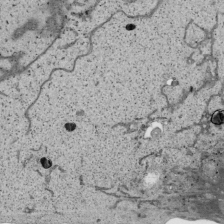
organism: Human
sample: Mitochondria in HCT116 cells